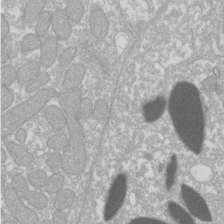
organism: Xenopus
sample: Cilia; centrioles in frog embryo cells